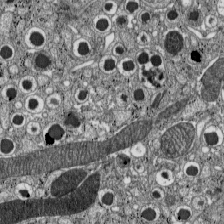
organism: C57BL Mouse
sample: Pancreatic islet